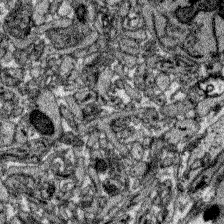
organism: Zebrafish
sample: Larval olfactory bulb